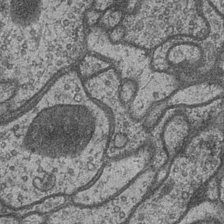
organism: Drosophila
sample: Optic medulla